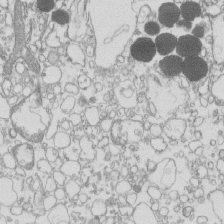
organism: Mouse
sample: Macrophages